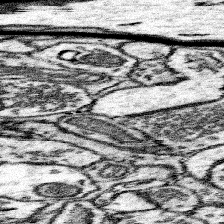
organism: Mouse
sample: Somatosensory cortex neuropil